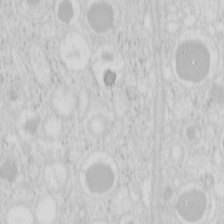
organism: Mouse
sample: Pancreas